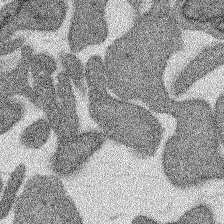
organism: Human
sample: HeLa cells